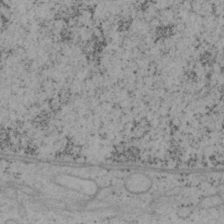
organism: Human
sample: HeLa cells